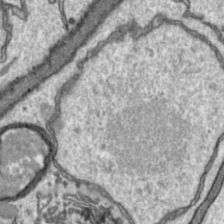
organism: Toxoplasma gondii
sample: Parasites in a vacuole inside a host cell